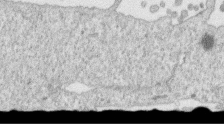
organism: Human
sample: HeLa cell HIV synapse